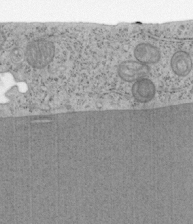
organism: Human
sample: HeLa cells